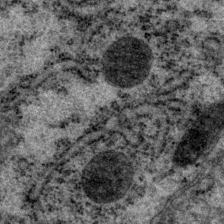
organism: P. pacificus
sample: Pharynx